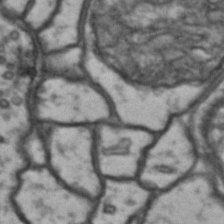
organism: Drosophila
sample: Brain